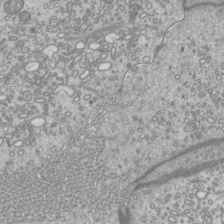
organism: Mouse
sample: Cilia; mouse epididymis